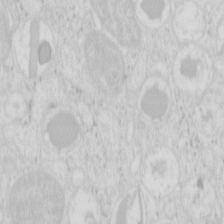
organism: Mouse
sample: Pancreas